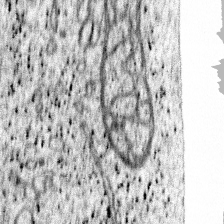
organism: Human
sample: HeLa cells